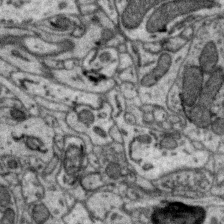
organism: Zebra finch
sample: Brain